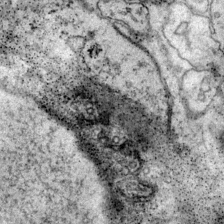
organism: Mouse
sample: Primary visual cortex